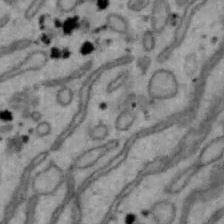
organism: Mouse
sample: Liver